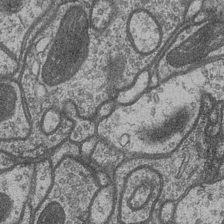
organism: Drosophila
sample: Optic medulla